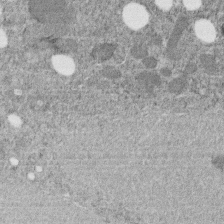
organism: C. elegans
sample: C. elegans embryo early stage